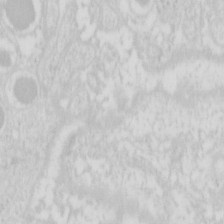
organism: Mouse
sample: Pancreas